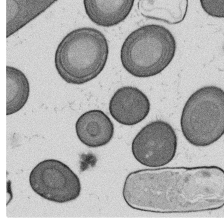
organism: B. subtilis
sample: Bacterial spore